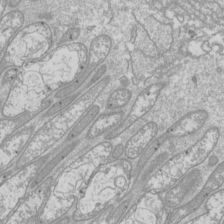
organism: Drosophila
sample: Cell division; meiosis; drosophila spermatocytes